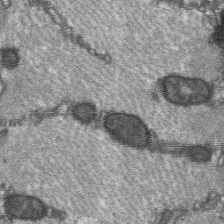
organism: C57BL Mouse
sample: Soleus